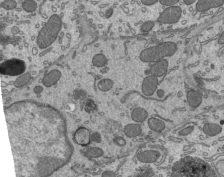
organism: Mouse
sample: Mouse epididymis efferent ductule cilia